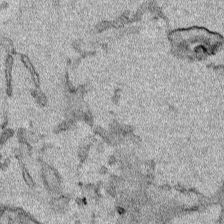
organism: Human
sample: Mitochondria in HCT116 cells